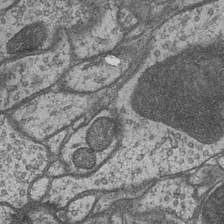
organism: Drosophila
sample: Optic medulla